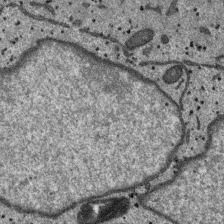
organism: Human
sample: Lung epithelial cells, uninfected (mock) control